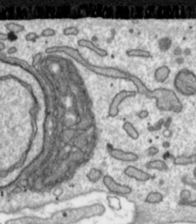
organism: Toxoplasma gondii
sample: Parasites in a vacuole inside a host cell